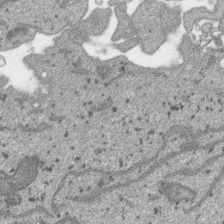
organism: Human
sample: Lung epithelial cells infected with SARS-CoV-2